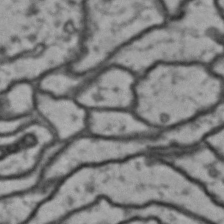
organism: Drosophila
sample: Brain